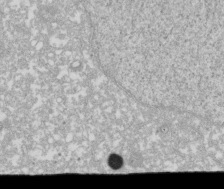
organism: Xenopus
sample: Cilia; centrioles in frog embryo cells